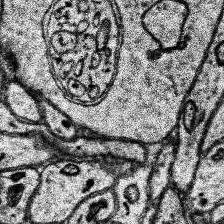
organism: Human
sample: Temporal Lobe